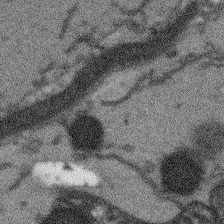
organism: Arabidopsis thaliana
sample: Root tip